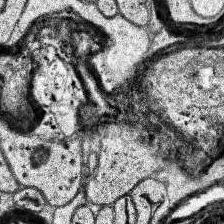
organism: Human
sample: Temporal Lobe